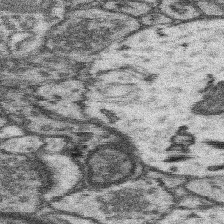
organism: Mouse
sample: Somatosensory cortex neuropil